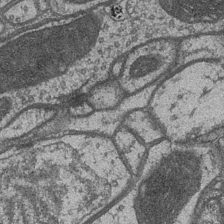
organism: Drosophila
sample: Optic medulla